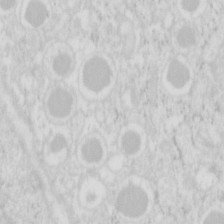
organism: Mouse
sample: Pancreas